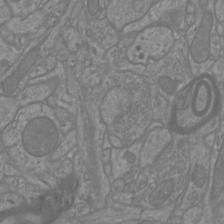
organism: Mouse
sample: Cortical neurons